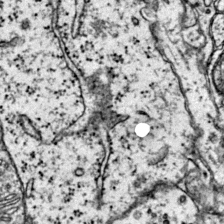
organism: Mouse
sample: Primary visual cortex